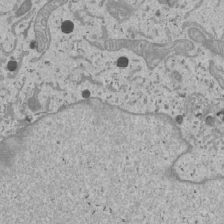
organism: Human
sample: Mitochondria in U2OS cells